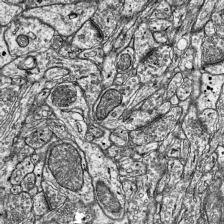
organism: Mouse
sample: Visual Cortex